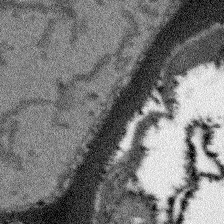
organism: Arabidopsis thaliana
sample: Root tip